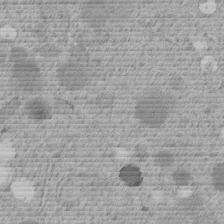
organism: C. elegans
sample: C. elegans embryo early stage